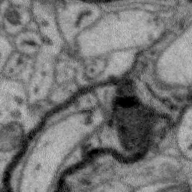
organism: Zebra finch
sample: Brain